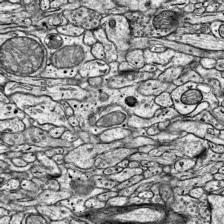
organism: Mouse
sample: Visual Cortex